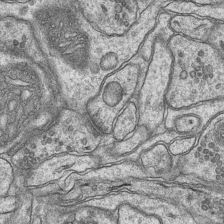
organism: Mouse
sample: CA1 Hippocampus